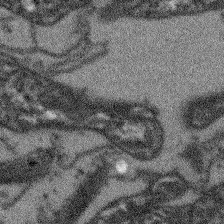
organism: Arabidopsis thaliana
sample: Root tip